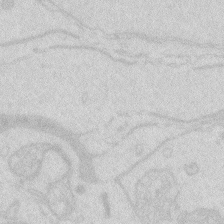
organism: Zebrafish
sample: Macrophage